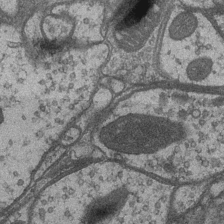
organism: Drosophila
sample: Optic medulla